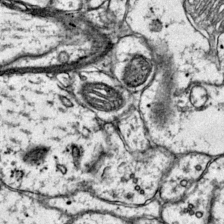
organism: Mouse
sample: Primary visual cortex